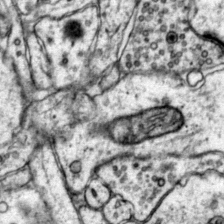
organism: Mouse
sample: Primary visual cortex